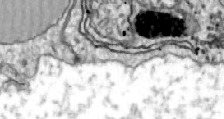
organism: Zebrafish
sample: Actinotrichia fibers